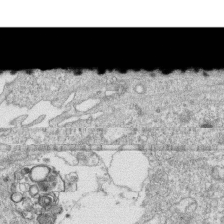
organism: Human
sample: HeLa cell HIV synapse